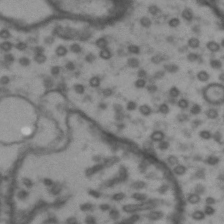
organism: Drosophila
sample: Brain